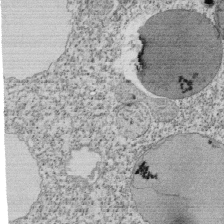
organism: Tetrahymena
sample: Cilia in tetrahymena